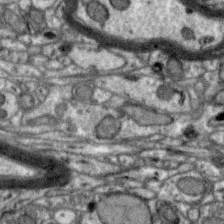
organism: Zebra finch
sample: Brain